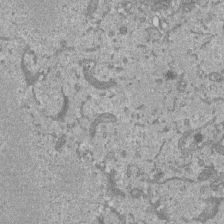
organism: Mouse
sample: ED-1 cell nuclei; centrioles